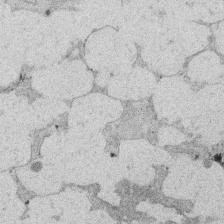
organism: Rat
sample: Salivary granule